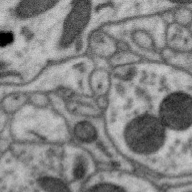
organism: Zebra finch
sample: Brain